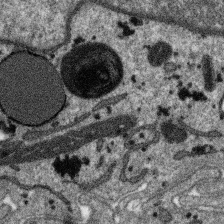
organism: Human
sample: Lung epithelial cells infected with SARS-CoV-2